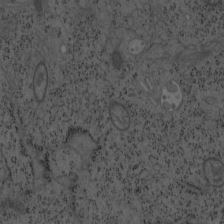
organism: Mouse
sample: OT-I killer T cells with ID8 ovarian cancer cells